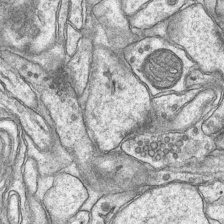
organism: Mouse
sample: CA1 Hippocampus